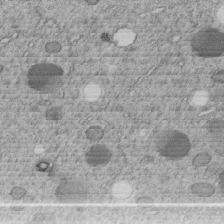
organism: C. elegans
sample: C. elegans embryo early stage